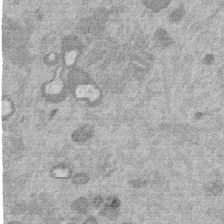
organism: Mouse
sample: Dividing mouse embryo 1 cell stage